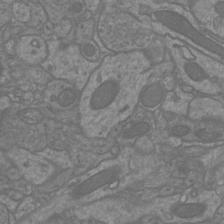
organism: Mouse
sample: Cortical neurons